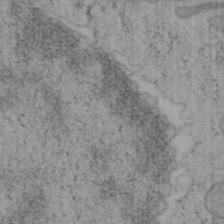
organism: Mouse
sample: OT-I killer T cells with ID8 ovarian cancer cells